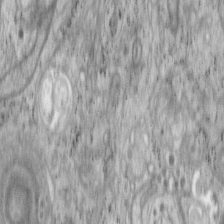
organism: Human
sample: HeLa cells